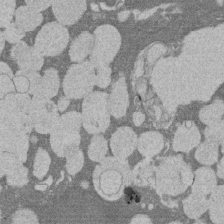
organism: Rat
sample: Salivary granule